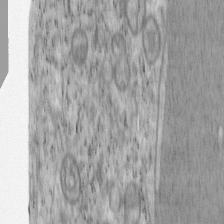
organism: Human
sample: HeLa cells